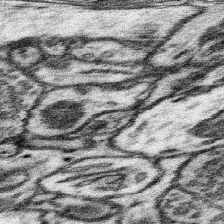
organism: Mouse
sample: Somatosensory cortex neuropil